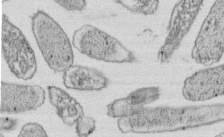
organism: E. coli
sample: Bacterial nucleoid